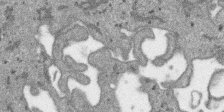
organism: Human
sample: Lung epithelial cells infected with SARS-CoV-2